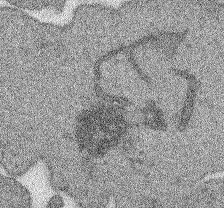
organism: Human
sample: HeLa cells